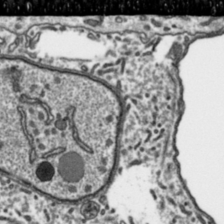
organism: Toxoplasma gondii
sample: Parasites in a vacuole inside a host cell